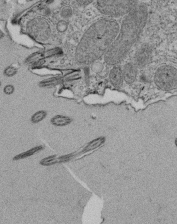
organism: Tetrahymena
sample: Cilia in tetrahymena